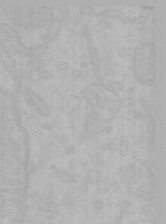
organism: Mouse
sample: Choroid plexus